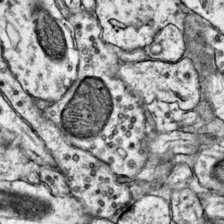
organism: Mouse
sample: Primary visual cortex